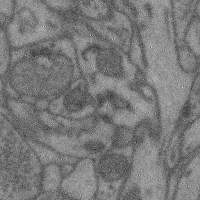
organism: Mouse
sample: Cerebral cortex